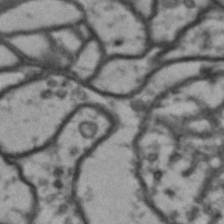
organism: Drosophila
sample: Brain